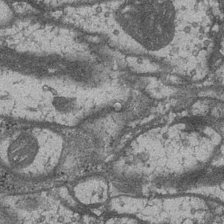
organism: Drosophila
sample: Optic medulla